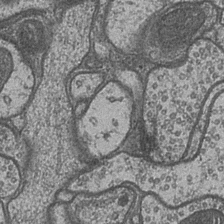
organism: Drosophila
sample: Optic medulla